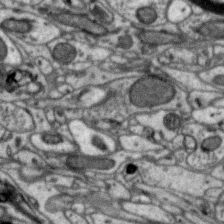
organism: Zebra finch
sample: Brain